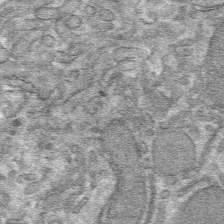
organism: Mouse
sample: Mouse hepatocytes